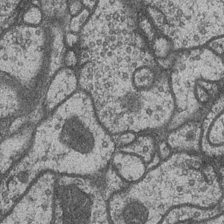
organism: Drosophila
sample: Optic medulla